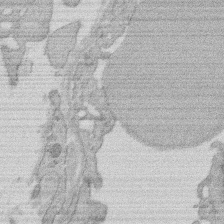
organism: Rat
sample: Salivary granule